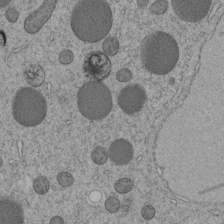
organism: C. elegans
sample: C. elegans embryo early stage